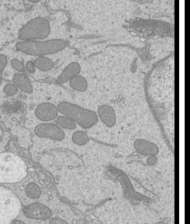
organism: Mouse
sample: Cilia; mouse epididymis